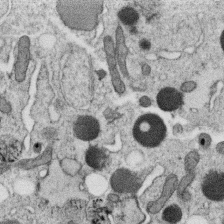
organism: C. elegans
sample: C. elegans oocyte; sperm cells